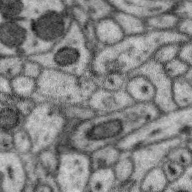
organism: Zebra finch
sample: Brain